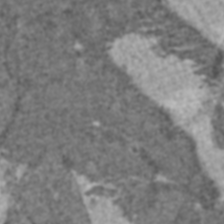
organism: C57BL Mouse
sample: Heart